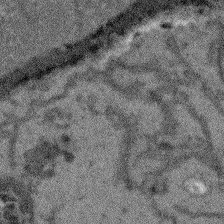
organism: Arabidopsis thaliana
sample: Root tip